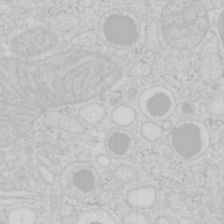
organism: Mouse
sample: Pancreas